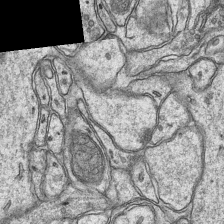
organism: Mouse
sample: CA1 Hippocampus